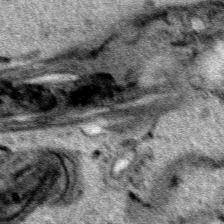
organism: Human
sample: Mitochondria in HCT116 cells